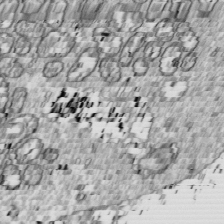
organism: Drosophila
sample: Cell division; meiosis; drosophila spermatocytes